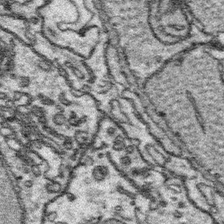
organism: Platynereis dumerilii